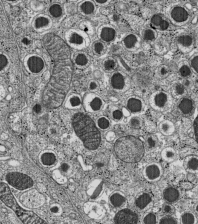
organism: C57BL Mouse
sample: Pancreatic islet